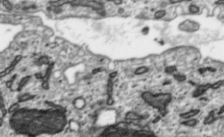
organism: Toxoplasma gondii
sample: Parasites in a vacuole inside a host cell